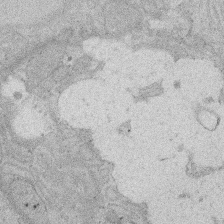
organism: Rat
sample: Salivary granule